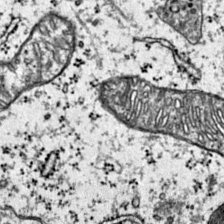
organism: Mouse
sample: Primary visual cortex